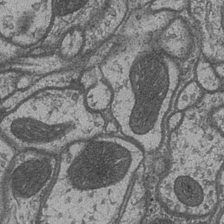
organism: Drosophila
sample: Optic medulla